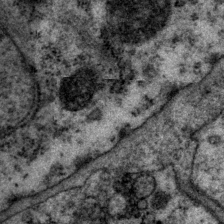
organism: P. pacificus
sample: Pharynx